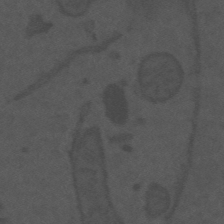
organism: Mouse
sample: Suprachiasmatic nucleus